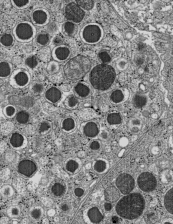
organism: C57BL Mouse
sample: Pancreatic islet